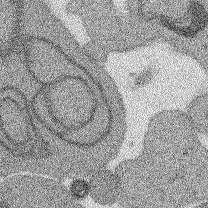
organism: Human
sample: HeLa cells